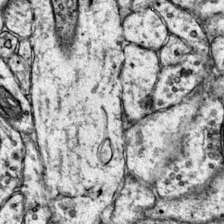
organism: Mouse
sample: Primary visual cortex